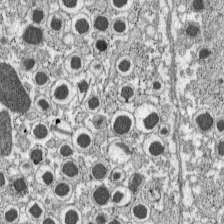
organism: C57BL Mouse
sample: Pancreatic islet